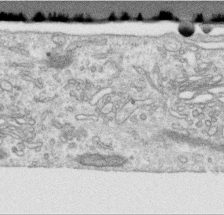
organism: Human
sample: Centriole in RPE cells